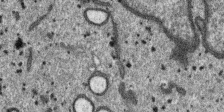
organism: Human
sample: Lung epithelial cells infected with SARS-CoV-2